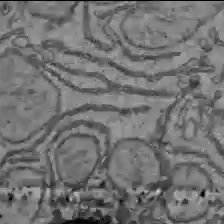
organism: C57BL Mouse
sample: Liver